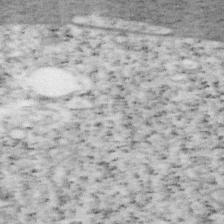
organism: Mouse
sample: OT-I killer T cells with ID8 ovarian cancer cells